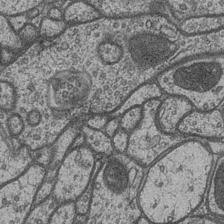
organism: Drosophila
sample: Optic medulla